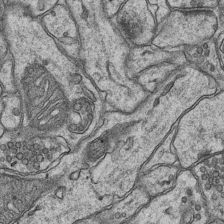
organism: Mouse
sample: CA1 Hippocampus